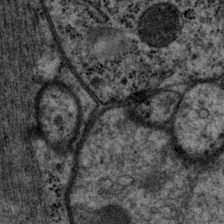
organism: P. pacificus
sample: Pharynx